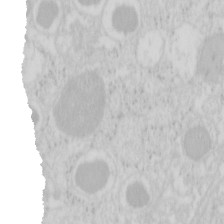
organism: Mouse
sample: Pancreas